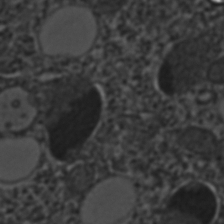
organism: C. elegans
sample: C. elegans embryo